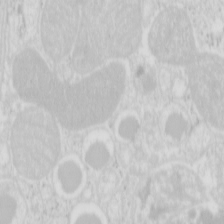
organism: Mouse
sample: Pancreas